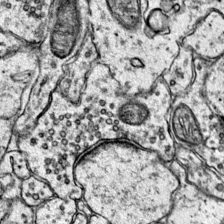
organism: Mouse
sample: Primary visual cortex